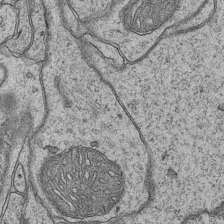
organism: Mouse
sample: CA1 Hippocampus